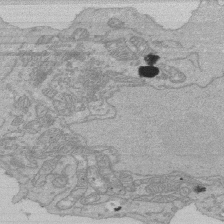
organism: Human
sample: Activated Jurkat CD4+ T cells